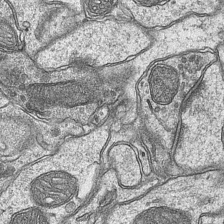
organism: Mouse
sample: CA1 Hippocampus